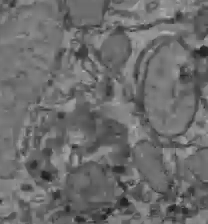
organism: C57BL Mouse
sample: Liver